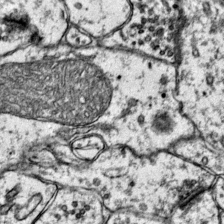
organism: Mouse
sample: Primary visual cortex